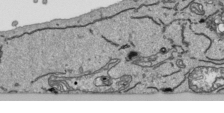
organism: Human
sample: Mitochondria in HCT116 cells